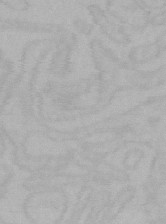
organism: Mouse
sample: Choroid plexus